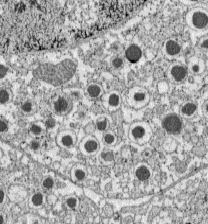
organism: C57BL Mouse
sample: Pancreatic islet